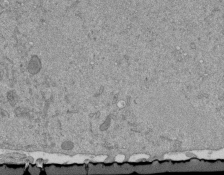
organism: Mouse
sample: ED-1 cell nuclei; centrioles